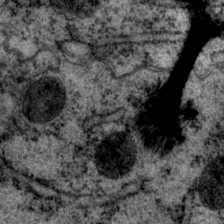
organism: P. pacificus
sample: Pharynx